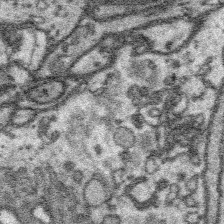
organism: Platynereis dumerilii